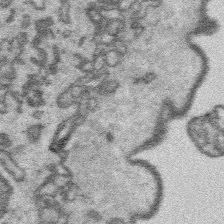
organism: Platynereis dumerilii